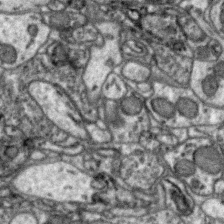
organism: Zebra finch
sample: Brain